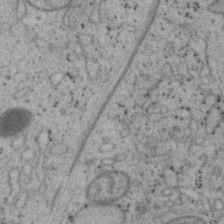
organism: Human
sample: HeLa cells